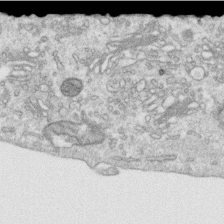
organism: Human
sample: Centriole in RPE cells